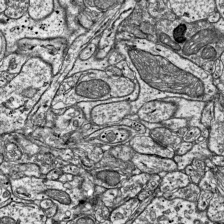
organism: Mouse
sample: Visual Cortex